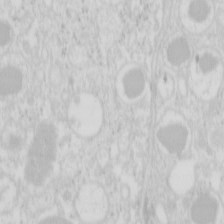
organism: Mouse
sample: Pancreas